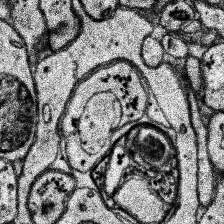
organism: Human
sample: Temporal Lobe